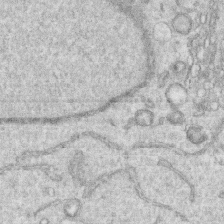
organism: Human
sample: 1205lu cells